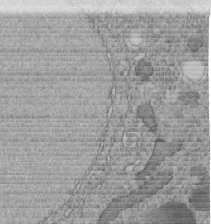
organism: C. elegans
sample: C. elegans embryo early stage